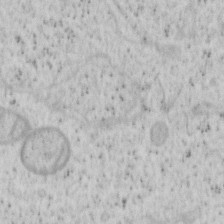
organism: Human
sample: HeLa cells